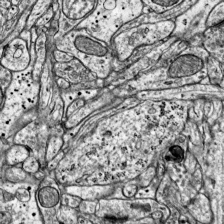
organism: Mouse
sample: Visual Cortex